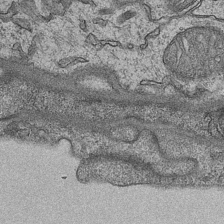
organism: Mouse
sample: CA1 Hippocampus